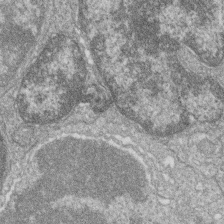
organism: Zebrafish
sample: Cilia; retinal pigment epithelium